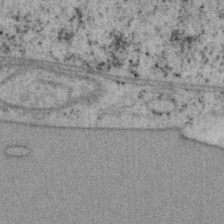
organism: Human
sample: HeLa cells